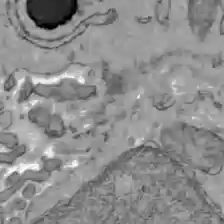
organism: C57BL Mouse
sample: Liver